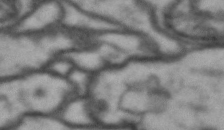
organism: Drosophila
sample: Brain